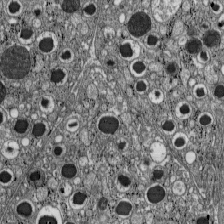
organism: C57BL Mouse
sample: Pancreatic islet